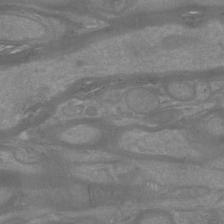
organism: Mouse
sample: Cortical neurons